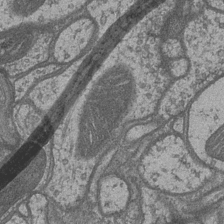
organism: Drosophila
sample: Optic medulla